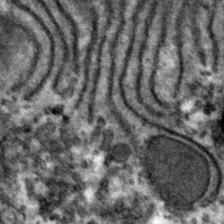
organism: Mouse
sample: Mouse hepatocytes